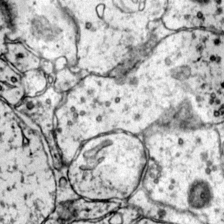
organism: Mouse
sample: Primary visual cortex